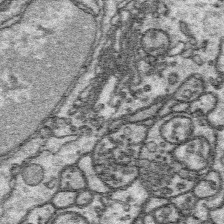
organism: Platynereis dumerilii